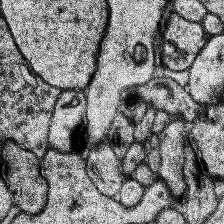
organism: Human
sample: Temporal Lobe